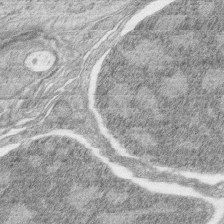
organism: Zebrafish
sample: synaptic ribbons in rod cells and cone cells